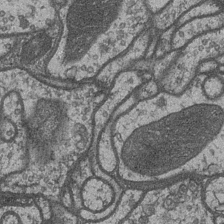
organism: Drosophila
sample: Optic medulla